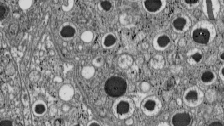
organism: C57BL Mouse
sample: Pancreatic islet